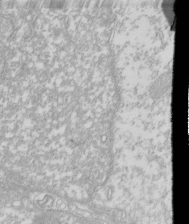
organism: Xenopus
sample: Cilia; centrioles in frog embryo cells